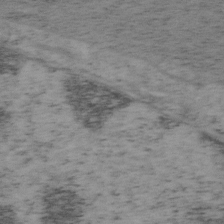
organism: Mouse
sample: OT-I killer T cells with ID8 ovarian cancer cells